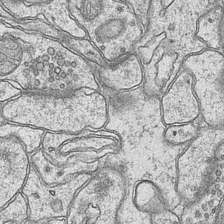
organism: Mouse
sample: CA1 Hippocampus